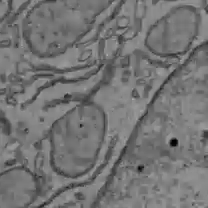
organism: C57BL Mouse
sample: Liver